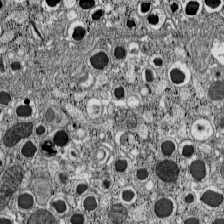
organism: C57BL Mouse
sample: Pancreatic islet